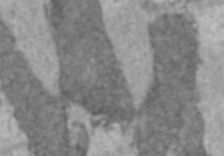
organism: C57BL Mouse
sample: Heart